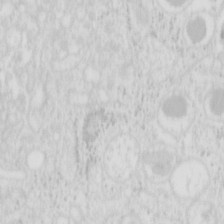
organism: Mouse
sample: Pancreas